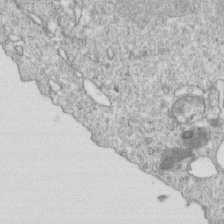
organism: Mouse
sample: Activated OT-1 CD8+ T cells